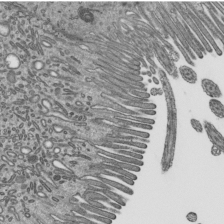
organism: Mouse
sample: Mouse epididymis efferent ductule cilia